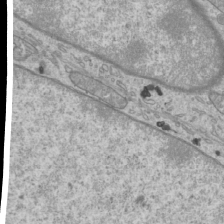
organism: Mouse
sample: Cilia; mouse epididymis